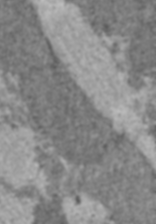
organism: C57BL Mouse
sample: Heart